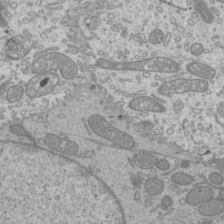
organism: Mouse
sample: Cilia; mouse epididymis